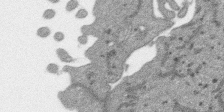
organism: Human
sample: Lung epithelial cells infected with SARS-CoV-2